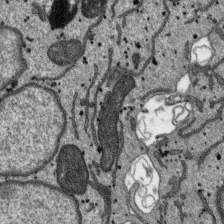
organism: Human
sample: Lung epithelial cells, uninfected (mock) control